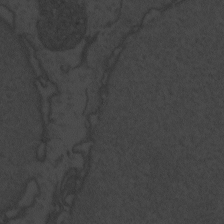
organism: Zebrafish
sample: Macrophage infected with Toxoplasma gondii